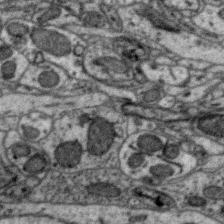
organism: Zebra finch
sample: Brain